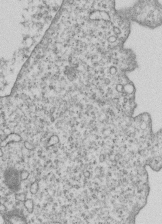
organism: Human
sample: MDA-MB-231 cells